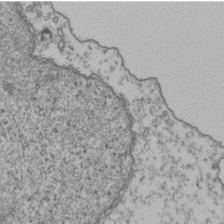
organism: Human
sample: Activated Jurkat CD4+ T cells